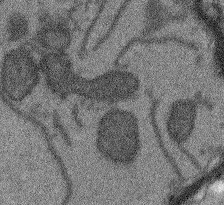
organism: Arabidopsis thaliana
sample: Root tip